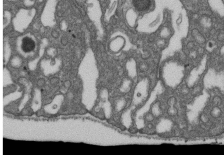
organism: Drosophila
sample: Nephrocyte